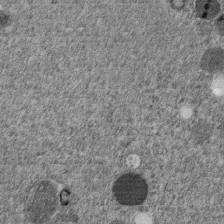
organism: C. elegans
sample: C. elegans embryo early stage